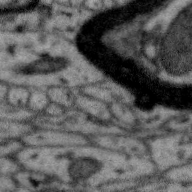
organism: Zebra finch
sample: Brain